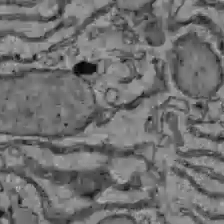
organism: C57BL Mouse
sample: Liver